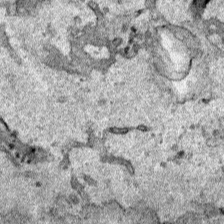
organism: Human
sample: Mitochondria in HCT116 cells